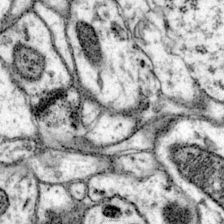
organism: Mouse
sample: Primary visual cortex